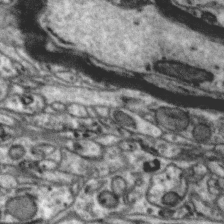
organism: Zebra finch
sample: Brain